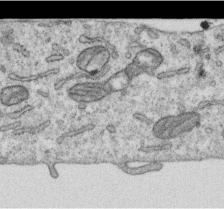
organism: Human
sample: Centriole in RPE cells